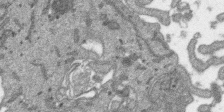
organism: Human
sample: Lung epithelial cells infected with SARS-CoV-2